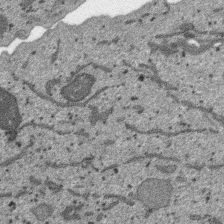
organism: Human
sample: Lung epithelial cells infected with SARS-CoV-2